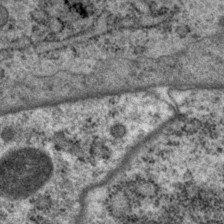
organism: P. pacificus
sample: Pharynx